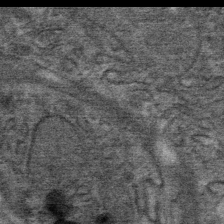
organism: Mouse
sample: Mouse Salivary gland